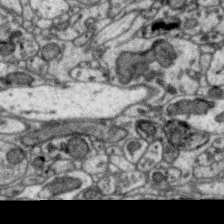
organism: Zebra finch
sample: Brain